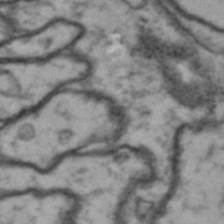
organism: Drosophila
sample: Brain